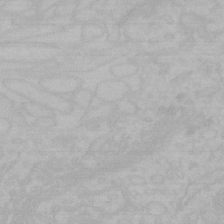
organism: Mouse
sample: Choroid plexus